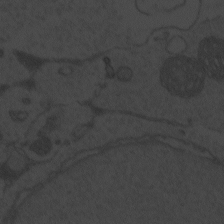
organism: Zebrafish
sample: Macrophage infected with Toxoplasma gondii